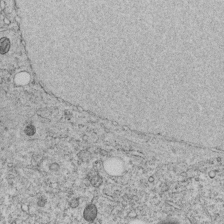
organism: C. elegans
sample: C. elegans embryo early stage